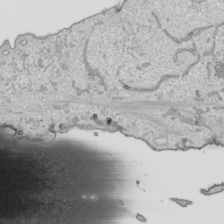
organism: Human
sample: Mitochondria in HCT116 cells